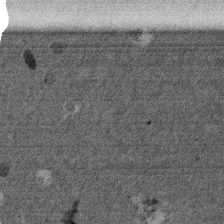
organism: Mouse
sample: Dividing mouse embryo 1 cell stage